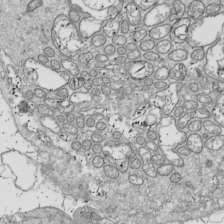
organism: Drosophila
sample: Cell division; meiosis; drosophila spermatocytes